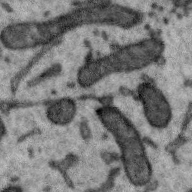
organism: Zebra finch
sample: Brain